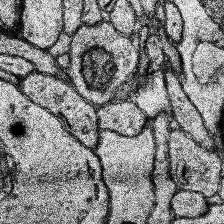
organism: Human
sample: Temporal Lobe